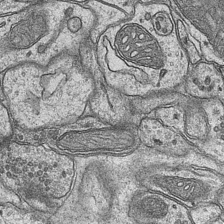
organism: Mouse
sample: CA1 Hippocampus